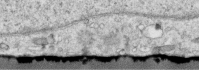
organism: Human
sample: Centriole in RPE cells